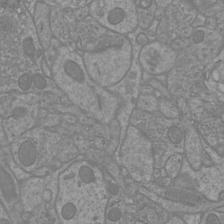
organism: Mouse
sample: Cortical neurons